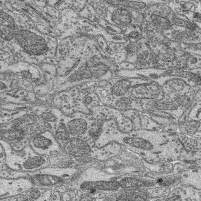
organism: Mouse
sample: Retina